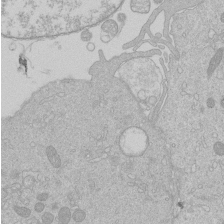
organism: Human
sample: Macrophage cells